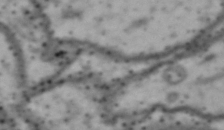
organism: Drosophila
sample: Brain